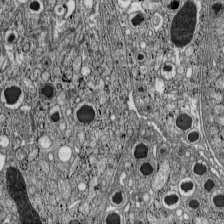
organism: C57BL Mouse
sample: Pancreatic islet